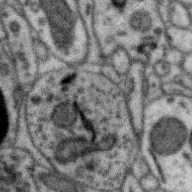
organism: Zebra finch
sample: Brain